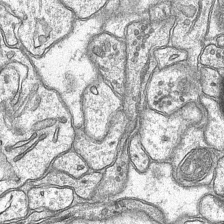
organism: Mouse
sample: CA1 Hippocampus